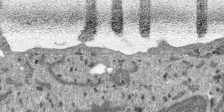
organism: Human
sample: Lung epithelial cells infected with SARS-CoV-2